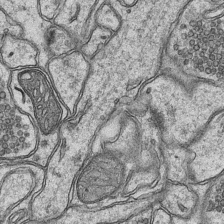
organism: Mouse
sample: CA1 Hippocampus